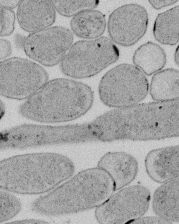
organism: E. coli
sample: Bacterial nucleoid